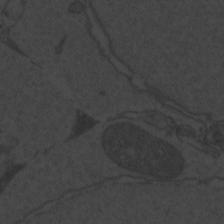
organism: Zebrafish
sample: Macrophage infected with Toxoplasma gondii